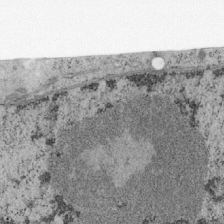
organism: Human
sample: HeLa cells